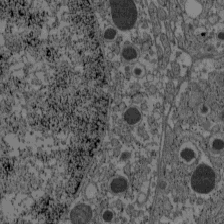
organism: C57BL Mouse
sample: Pancreatic islet